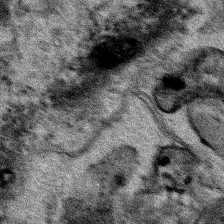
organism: Human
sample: Mitochondria in HCT116 cells